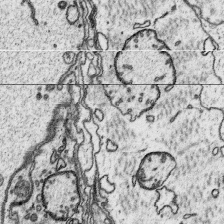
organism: Platynereis dumerilii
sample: Parapodia